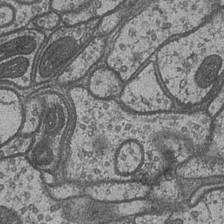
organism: Drosophila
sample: Optic medulla